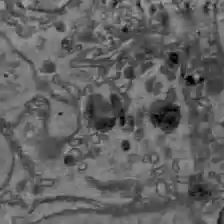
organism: C57BL Mouse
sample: Liver